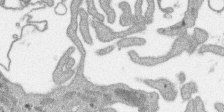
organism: Human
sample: Lung epithelial cells infected with SARS-CoV-2